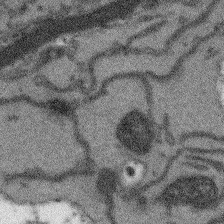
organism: Arabidopsis thaliana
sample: Root tip